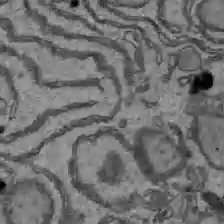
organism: C57BL Mouse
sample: Liver